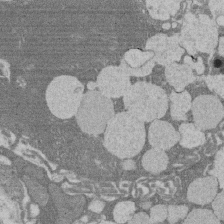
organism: Rat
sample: Salivary granule